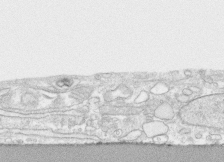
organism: Human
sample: CRL-1474